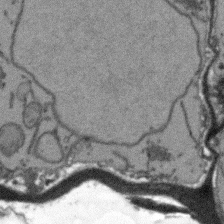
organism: Arabidopsis thaliana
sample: Root tip